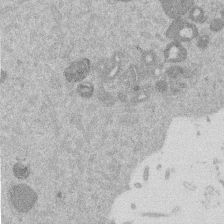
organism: Mouse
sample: Dividing mouse embryo 1 cell stage